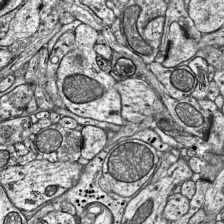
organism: Mouse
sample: Visual Cortex